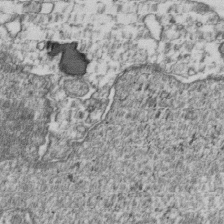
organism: Human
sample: Activated Jurkat CD4+ T cells